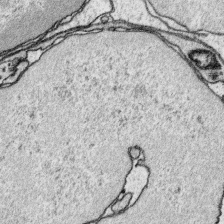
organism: Platynereis dumerilii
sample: Parapodia